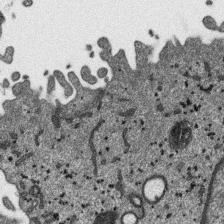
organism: Human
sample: Lung epithelial cells infected with SARS-CoV-2